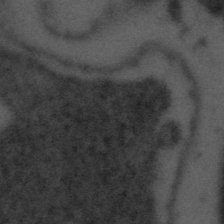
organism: Tuwongella immobilis